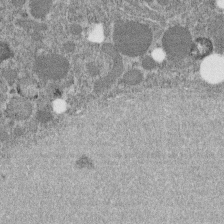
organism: C. elegans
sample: C. elegans embryo early stage